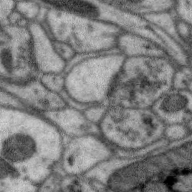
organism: Zebra finch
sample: Brain